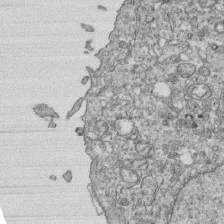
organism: Human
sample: HeLa cell HIV synapse